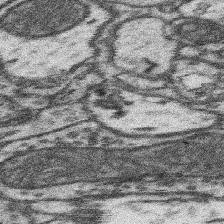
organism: Mouse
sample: Somatosensory cortex neuropil